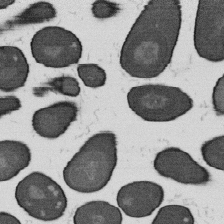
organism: B. subtilis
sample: Bacterial spore